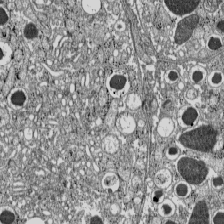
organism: C57BL Mouse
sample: Pancreatic islet